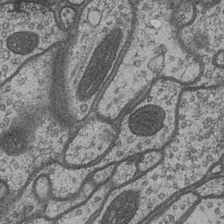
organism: Drosophila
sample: Optic medulla